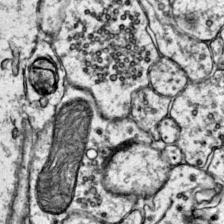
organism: Mouse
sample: Primary visual cortex